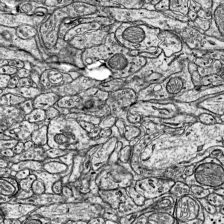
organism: Mouse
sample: Visual Cortex